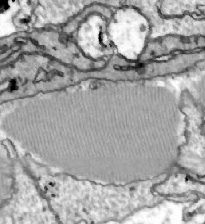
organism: Zebrafish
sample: Actinotrichia fibers